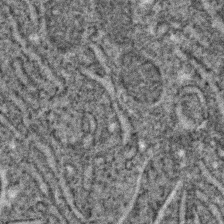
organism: C. elegans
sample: C. elegans embryo